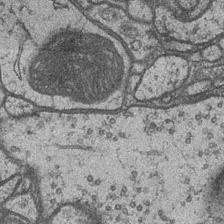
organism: Drosophila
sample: Optic medulla